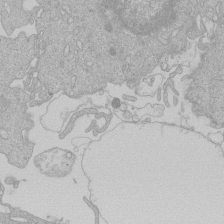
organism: Human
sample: Macrophage cells